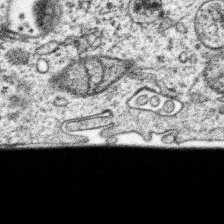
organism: Human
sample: HeLa cells